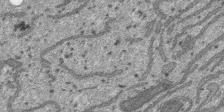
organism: Human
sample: Lung epithelial cells infected with SARS-CoV-2